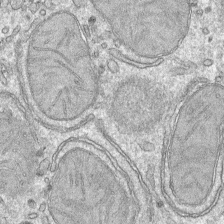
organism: Mouse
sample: Mouse hepatocytes